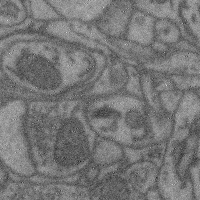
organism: Mouse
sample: Cerebral cortex